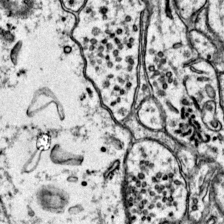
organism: Mouse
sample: Primary visual cortex